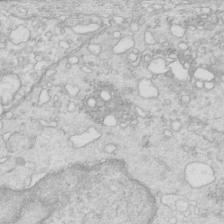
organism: Mouse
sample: Multiciliated cells